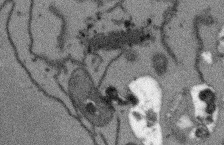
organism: Arabidopsis thaliana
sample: Root tip